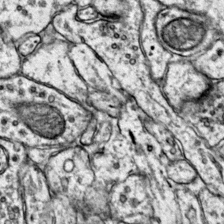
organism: Mouse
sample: Primary visual cortex